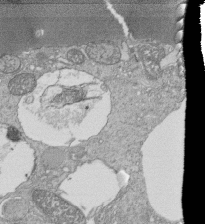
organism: Tetrahymena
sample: Cilia in tetrahymena